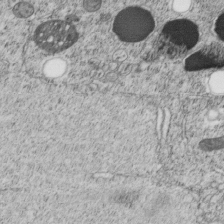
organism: C. elegans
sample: C. elegans embryo early stage